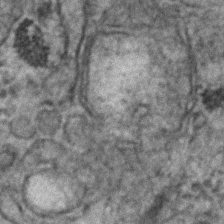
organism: Human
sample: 1205lu cells